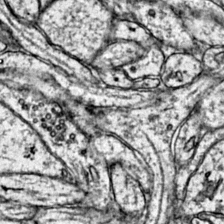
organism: Mouse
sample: Primary visual cortex